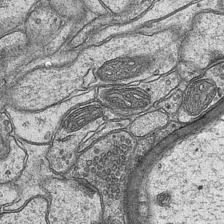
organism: Mouse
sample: CA1 Hippocampus